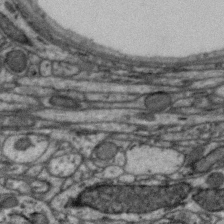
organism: Zebra finch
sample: Brain